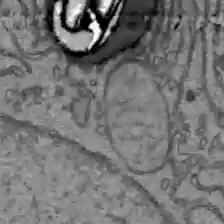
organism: C57BL Mouse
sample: Liver